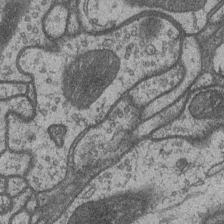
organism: Drosophila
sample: Optic medulla